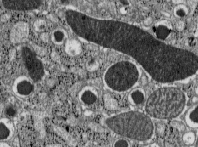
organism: C57BL Mouse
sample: Pancreatic islet